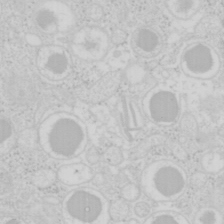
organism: Mouse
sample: Pancreas